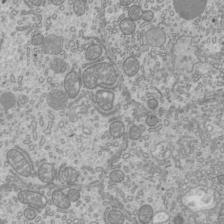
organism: Mouse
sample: Cilia; mouse epididymis